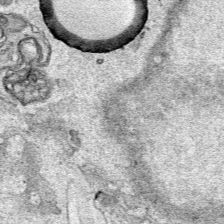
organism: Human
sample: Mitochondria in HCT116 cells